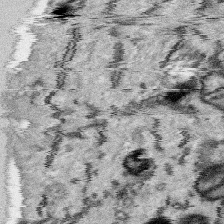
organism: Human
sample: HeLa cells